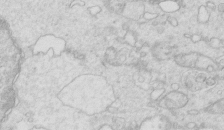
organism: Mouse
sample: Multiciliated cells